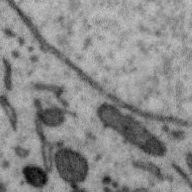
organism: Zebra finch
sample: Brain